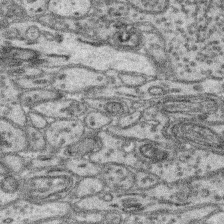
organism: Mouse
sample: Retina